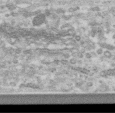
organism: Human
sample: Centriole in RPE cells